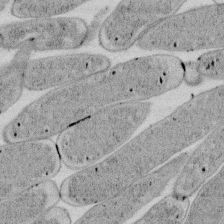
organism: E. coli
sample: Bacterial nucleoid